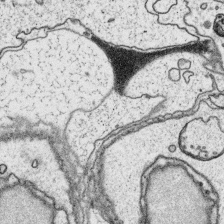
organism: Platynereis dumerilii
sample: Parapodia